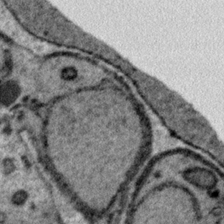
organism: Plasmodium falciparum